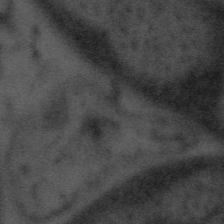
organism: Tuwongella immobilis